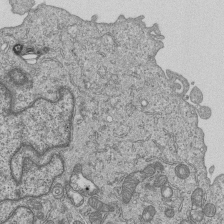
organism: Human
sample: MDA-MB-231 cells